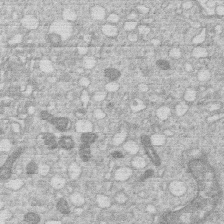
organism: Human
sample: Macrophage cells